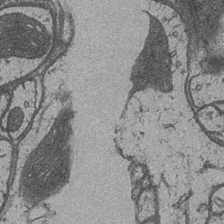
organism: Drosophila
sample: Optic medulla